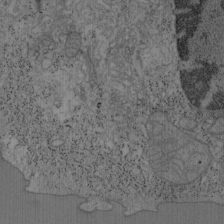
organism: Mouse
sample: OT-I killer T cells with ID8 ovarian cancer cells